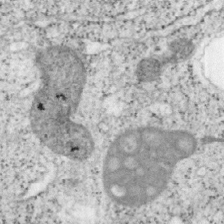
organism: Mouse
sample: OT-I killer T cells with ID8 ovarian cancer cells